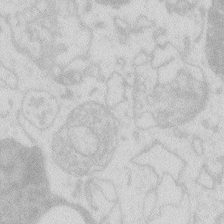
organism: Zebrafish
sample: Macrophage